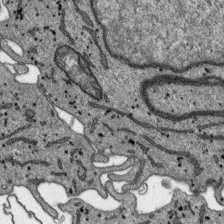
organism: Human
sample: Lung epithelial cells, uninfected (mock) control